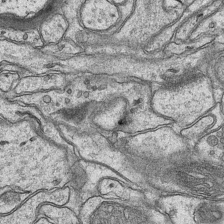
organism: Mouse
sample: CA1 Hippocampus